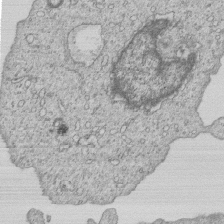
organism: Human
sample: MDA-MB-231 cells